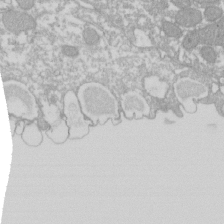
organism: Xenopus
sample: Cilia; centrioles in frog embryo cells